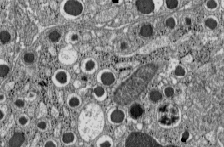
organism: C57BL Mouse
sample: Pancreatic islet